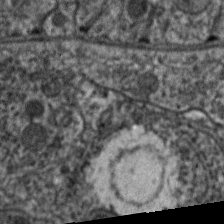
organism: C. elegans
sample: Pharynx